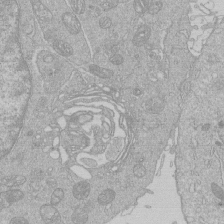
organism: Human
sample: Macrophage cells